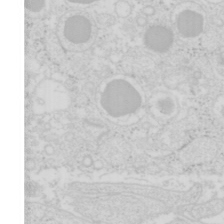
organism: Mouse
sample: Pancreas